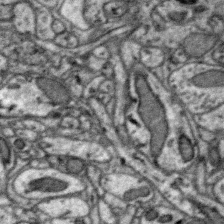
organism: Zebra finch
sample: Brain